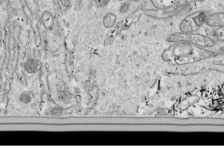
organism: Drosophila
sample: Cell division; meiosis; drosophila spermatocytes